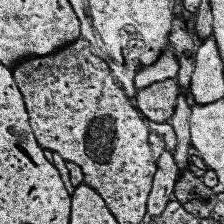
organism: Human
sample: Temporal Lobe